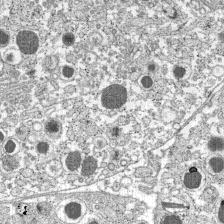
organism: C57BL Mouse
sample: Pancreatic islet